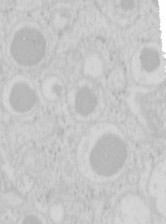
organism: Mouse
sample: Pancreas